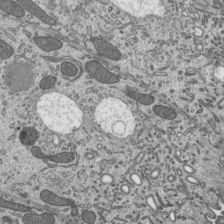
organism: Mouse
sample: Mouse epididymis efferent ductule cilia